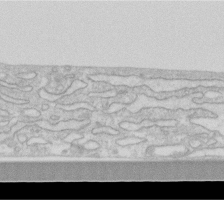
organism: Human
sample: Fibroblast cells